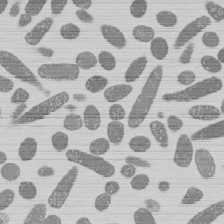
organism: E. coli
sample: Bacterial nucleoid